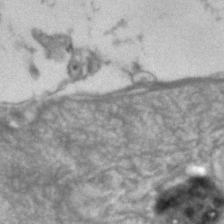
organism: Human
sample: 1205lu cells